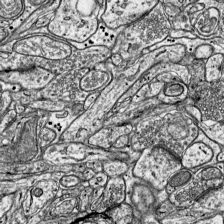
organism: Mouse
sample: Visual Cortex